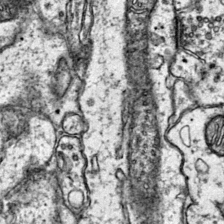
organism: Mouse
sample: Primary visual cortex